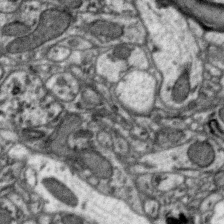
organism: Zebra finch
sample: Brain